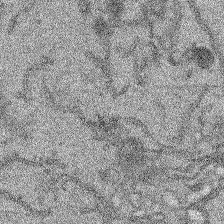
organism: Human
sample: HeLa cells